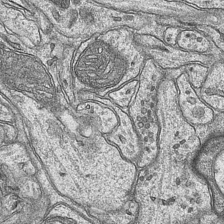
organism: Mouse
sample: CA1 Hippocampus